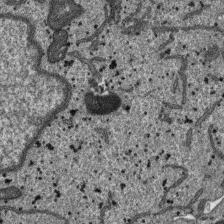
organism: Human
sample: Lung epithelial cells infected with SARS-CoV-2